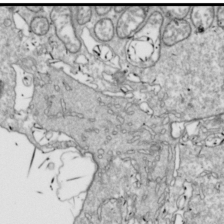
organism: Drosophila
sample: Cell division; meiosis; drosophila spermatocytes